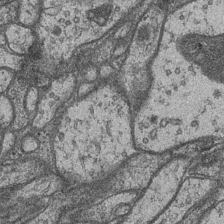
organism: Drosophila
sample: Optic medulla